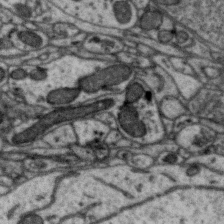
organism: Zebra finch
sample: Brain